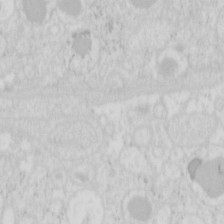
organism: Mouse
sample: Pancreas